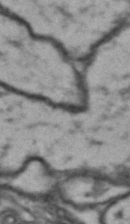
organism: Drosophila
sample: Brain